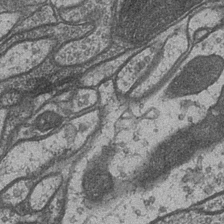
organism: Drosophila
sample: Optic medulla